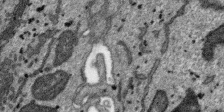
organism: Human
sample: Lung epithelial cells, uninfected (mock) control